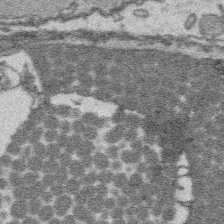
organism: Platynereis dumerilii